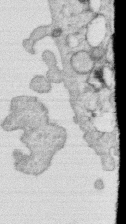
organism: Human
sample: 1205lu cells